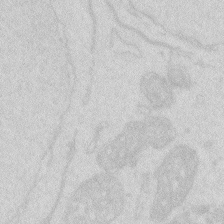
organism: Zebrafish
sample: Macrophage